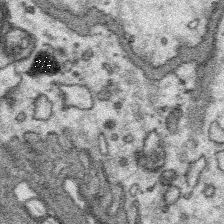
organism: Platynereis dumerilii